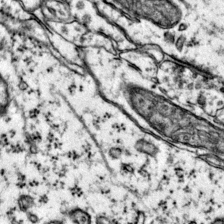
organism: Mouse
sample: Primary visual cortex